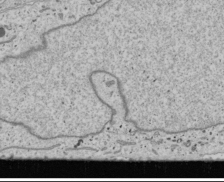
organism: Human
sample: Mitochondria in U2OS cells